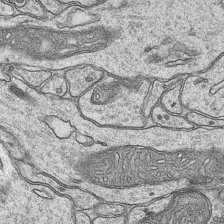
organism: Mouse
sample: CA1 Hippocampus